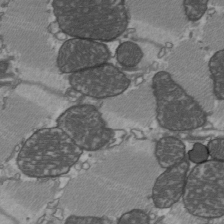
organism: C57BL Mouse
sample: Heart